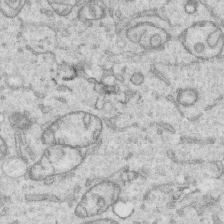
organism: Human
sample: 1205lu cells